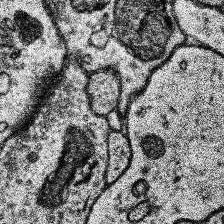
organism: Human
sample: Temporal Lobe